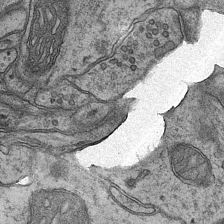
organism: Mouse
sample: CA1 Hippocampus